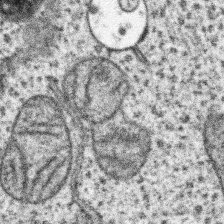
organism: Human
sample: HeLa cells